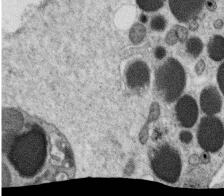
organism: C. elegans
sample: C. elegans oocyte; sperm cells